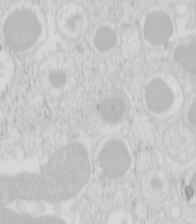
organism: Mouse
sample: Pancreas